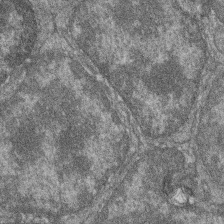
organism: Zebrafish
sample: Cilia; retinal pigment epithelium